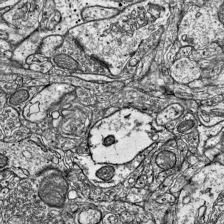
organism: Mouse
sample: Visual Cortex